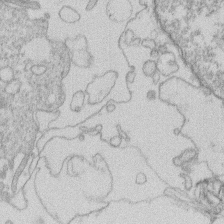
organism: Human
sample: Macrophage cells